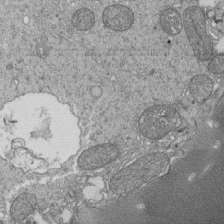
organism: Tetrahymena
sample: Cilia in tetrahymena